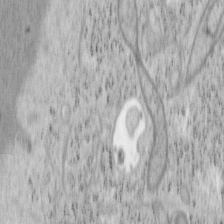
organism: Human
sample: HeLa cells